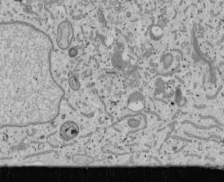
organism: Human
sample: Mitochondria in U2OS cells